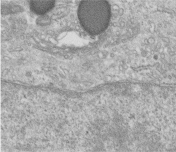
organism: Human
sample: Centriole in fibroblast cells